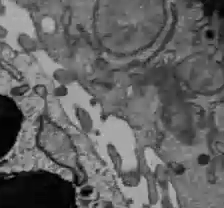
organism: C57BL Mouse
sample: Liver